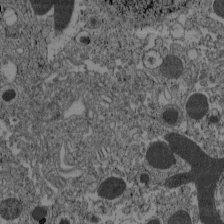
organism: C57BL Mouse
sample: Pancreatic islet